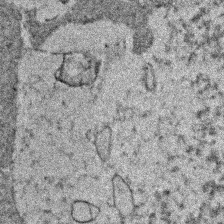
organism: Human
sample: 1205lu cells